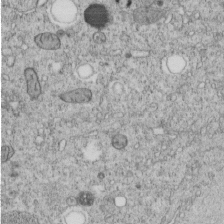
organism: C. elegans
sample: C. elegans embryo early stage